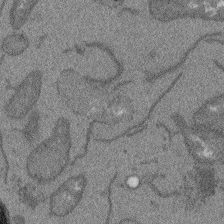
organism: Arabidopsis thaliana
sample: Root tip